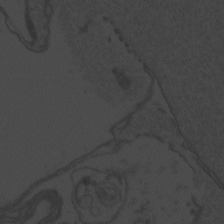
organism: Zebrafish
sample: Macrophage infected with Toxoplasma gondii